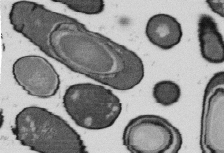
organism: B. subtilis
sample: Bacterial spore